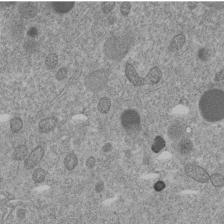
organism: C. elegans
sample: C. elegans embryo early stage